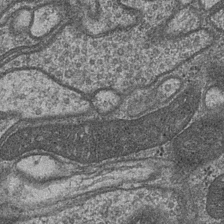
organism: Drosophila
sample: Optic medulla